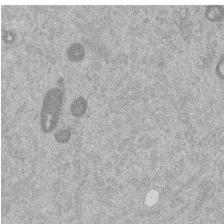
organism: Mouse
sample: Dividing mouse embryo 1 cell stage